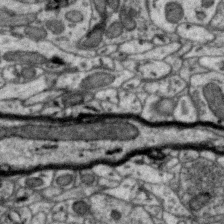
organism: Zebra finch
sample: Brain